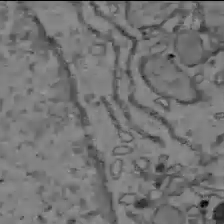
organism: C57BL Mouse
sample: Liver